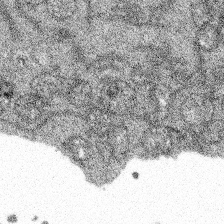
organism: Spongilla lacustris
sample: Multiple